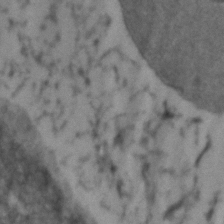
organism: Zebrafish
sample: Zebrafish embryo